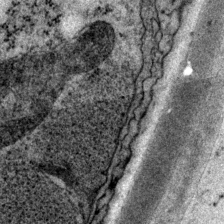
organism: P. pacificus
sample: Pharynx